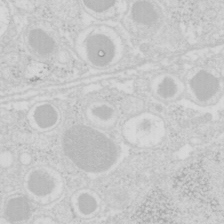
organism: Mouse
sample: Pancreas